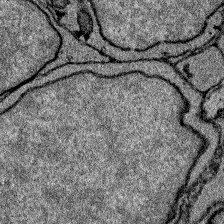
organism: Zebrafish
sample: Larval olfactory bulb